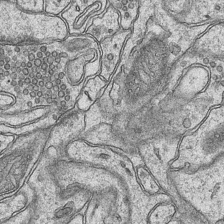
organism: Mouse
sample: CA1 Hippocampus